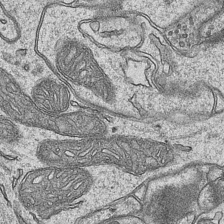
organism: Mouse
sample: CA1 Hippocampus